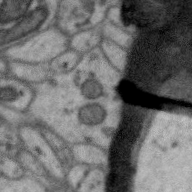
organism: Zebra finch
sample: Brain